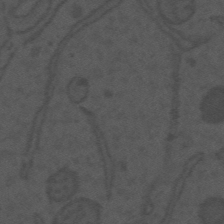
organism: Mouse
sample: Suprachiasmatic nucleus